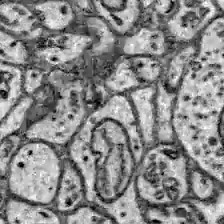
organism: Zebrafish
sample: Brain